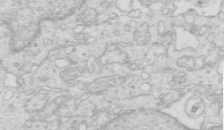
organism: Mouse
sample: Multiciliated cells